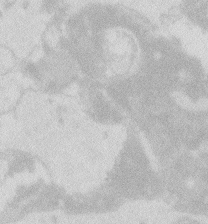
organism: Zebrafish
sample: Macrophage